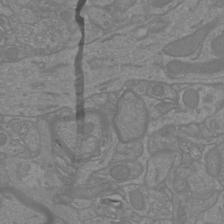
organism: Mouse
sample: Cortical neurons